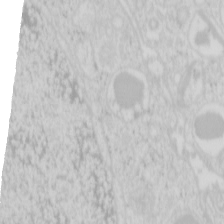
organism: Mouse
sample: Pancreas